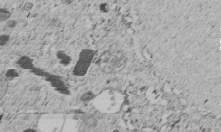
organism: C. elegans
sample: C. elegans embryo early stage